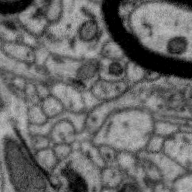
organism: Zebra finch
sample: Brain